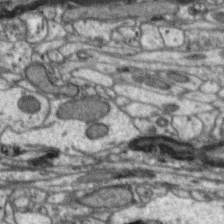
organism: Zebra finch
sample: Brain